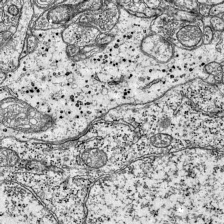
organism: Mouse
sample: Visual Cortex